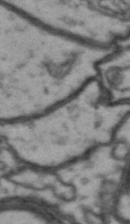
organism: Drosophila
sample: Brain